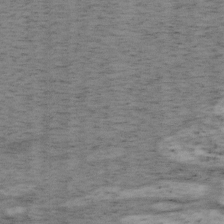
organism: Mouse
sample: OT-I killer T cells with ID8 ovarian cancer cells